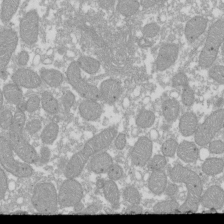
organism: Xenopus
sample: Cilia; centrioles in frog embryo cells